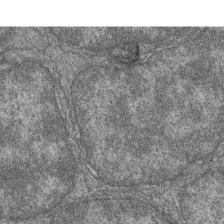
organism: Zebrafish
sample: Cilia; retinal pigment epithelium